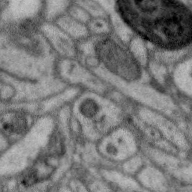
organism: Zebra finch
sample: Brain